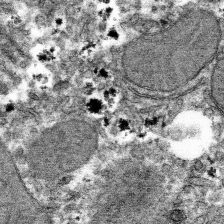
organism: Mouse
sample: Mouse hepatocytes